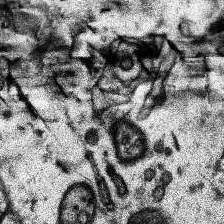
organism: Human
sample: Temporal Lobe